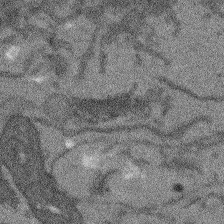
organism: Arabidopsis thaliana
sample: Root tip